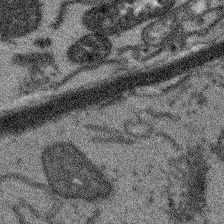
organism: Arabidopsis thaliana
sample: Root tip